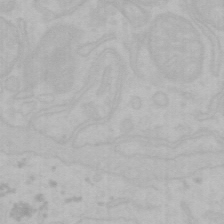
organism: Mouse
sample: Choroid plexus